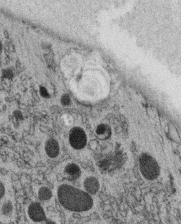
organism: C. elegans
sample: C. elegans oocyte; sperm cells